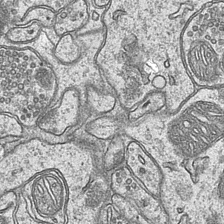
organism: Mouse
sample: CA1 Hippocampus